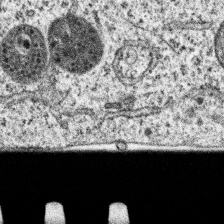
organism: Human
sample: HeLa cells